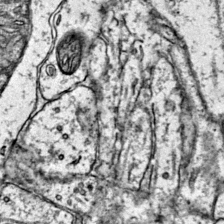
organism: Mouse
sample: Primary visual cortex